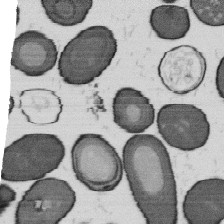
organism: B. subtilis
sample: Bacterial spore